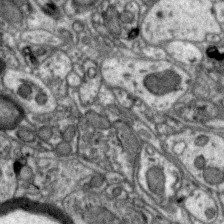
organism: Zebra finch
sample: Brain